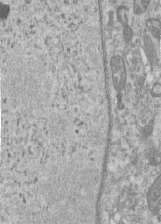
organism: Human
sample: Centriole in RPE cells